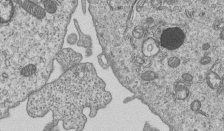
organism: Human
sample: MDA-MB-231 cells